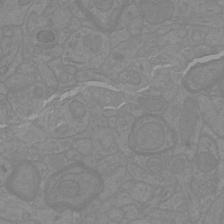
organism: Mouse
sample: Cortical neurons